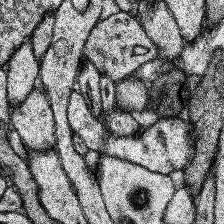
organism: Human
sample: Temporal Lobe